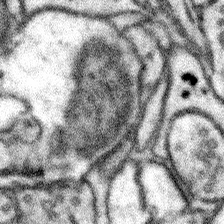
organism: Mouse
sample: Somatosensory cortex neuropil